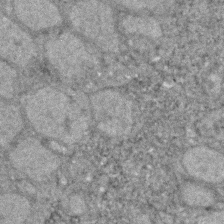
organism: Zebrafish